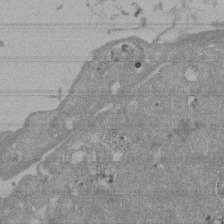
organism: Mouse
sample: ED-1 cell nuclei; centrioles